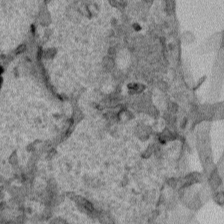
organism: Human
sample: Mitochondria in HCT116 cells